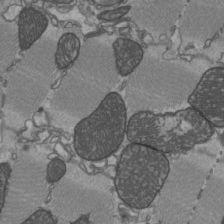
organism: C57BL Mouse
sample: Heart